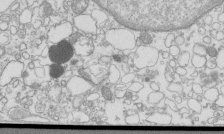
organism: Mouse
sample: Macrophages